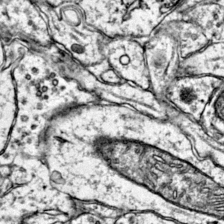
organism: Mouse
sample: Primary visual cortex